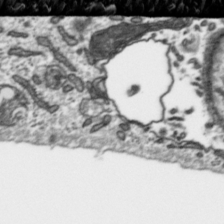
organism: Toxoplasma gondii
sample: Parasites in a vacuole inside a host cell